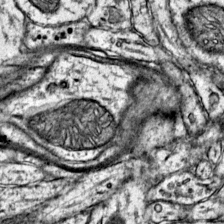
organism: Mouse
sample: Primary visual cortex